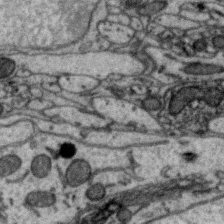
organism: Zebra finch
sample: Brain